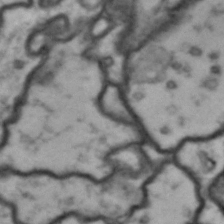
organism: Drosophila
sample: Brain